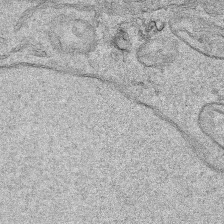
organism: Human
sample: Mitochondria in HCT116 cells